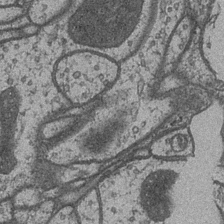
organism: Drosophila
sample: Optic medulla